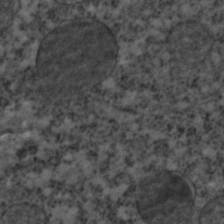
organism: C. elegans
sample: C. elegans embryo